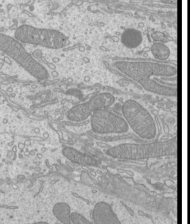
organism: Mouse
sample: Cilia; mouse epididymis